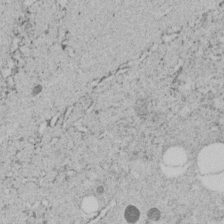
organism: C. elegans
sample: C. elegans embryo early stage